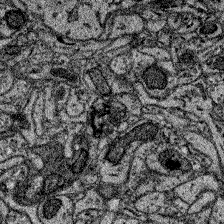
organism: Zebrafish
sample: Larval olfactory bulb